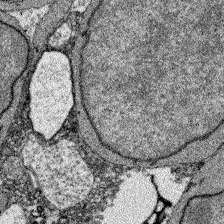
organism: Zebrafish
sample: Larval olfactory bulb